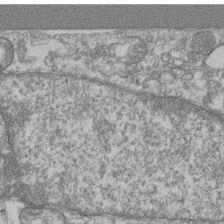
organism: Mouse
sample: T cell stromal cell synapse